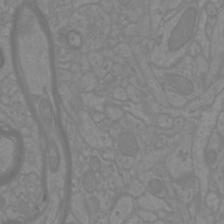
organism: Mouse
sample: Cortical neurons